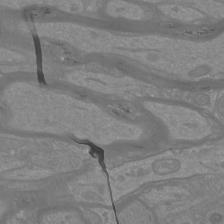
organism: Mouse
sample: Cortical neurons